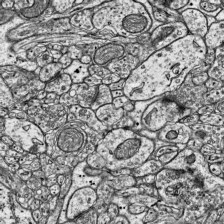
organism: Mouse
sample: Visual Cortex